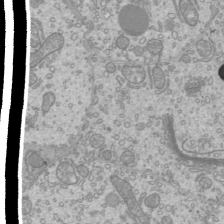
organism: Mouse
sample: Cilia; mouse epididymis